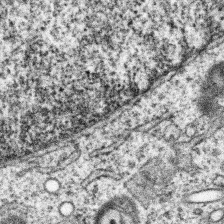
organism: Human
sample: HeLa cells